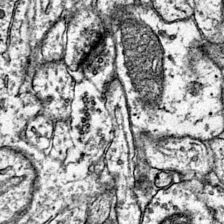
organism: Mouse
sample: Primary visual cortex